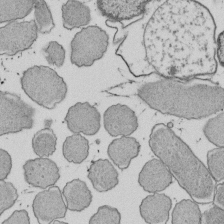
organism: E. coli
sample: Bacterial nucleoid